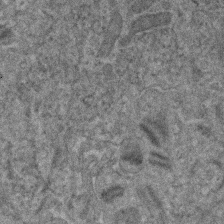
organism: Human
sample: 1205lu cells